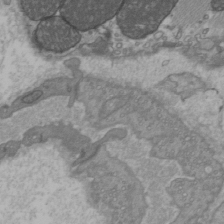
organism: C57BL Mouse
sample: Heart